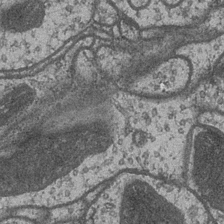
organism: Drosophila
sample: Optic medulla